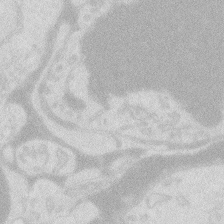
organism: Zebrafish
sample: Macrophage